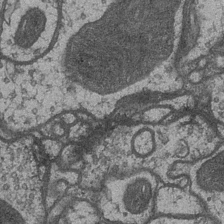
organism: Drosophila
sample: Optic medulla